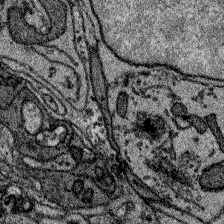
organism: Zebrafish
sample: Larval olfactory bulb